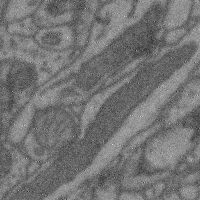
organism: Mouse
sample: Cerebral cortex